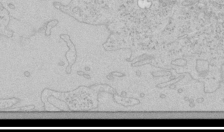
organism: Human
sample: Mitochondria in HCT116 cells